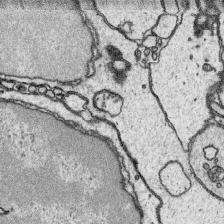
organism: Platynereis dumerilii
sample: Parapodia